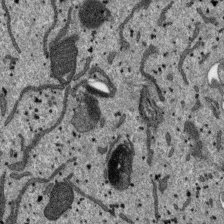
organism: Human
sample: Lung epithelial cells, uninfected (mock) control